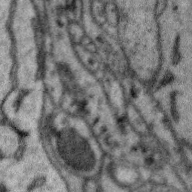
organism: Zebra finch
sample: Brain